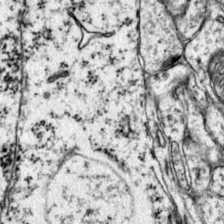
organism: Mouse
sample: Primary visual cortex